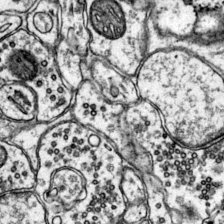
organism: Mouse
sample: Primary visual cortex